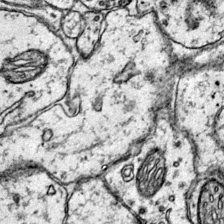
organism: Mouse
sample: Primary visual cortex